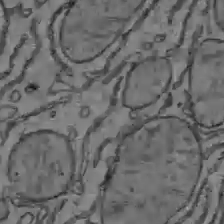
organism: C57BL Mouse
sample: Liver